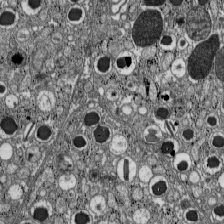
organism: C57BL Mouse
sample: Pancreatic islet